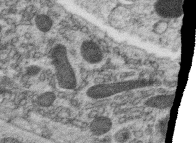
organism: C. elegans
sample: C. elegans oocyte; sperm cells